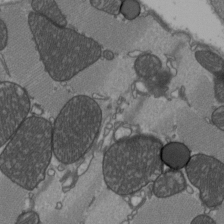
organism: C57BL Mouse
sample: Heart